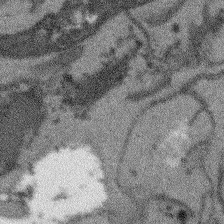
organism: Arabidopsis thaliana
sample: Root tip